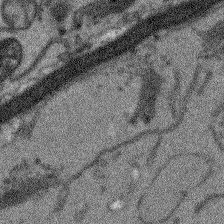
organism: Arabidopsis thaliana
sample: Root tip